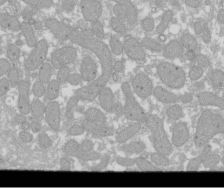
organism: Xenopus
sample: Cilia; centrioles in frog embryo cells